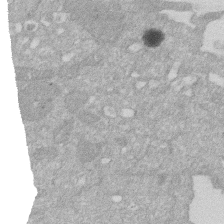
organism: Human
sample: HIV infected U937 cells